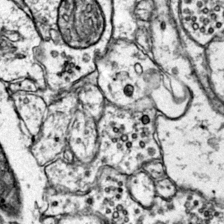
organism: Mouse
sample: Primary visual cortex